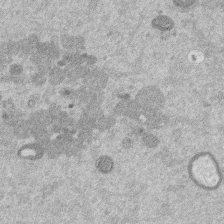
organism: Mouse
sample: Dividing mouse embryo 1 cell stage